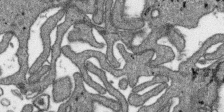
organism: Human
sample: Lung epithelial cells, uninfected (mock) control